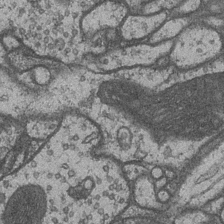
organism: Drosophila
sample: Optic medulla